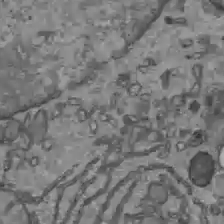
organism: C57BL Mouse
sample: Liver